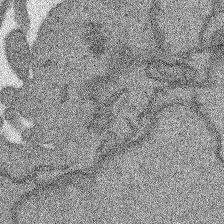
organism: Human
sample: HeLa cells